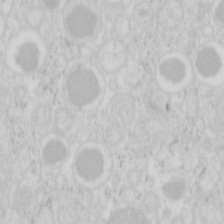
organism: Mouse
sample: Pancreas